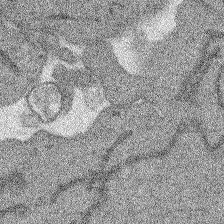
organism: Human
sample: HeLa cells